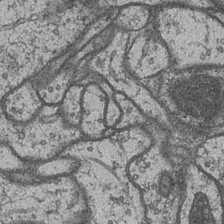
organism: Drosophila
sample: Optic medulla